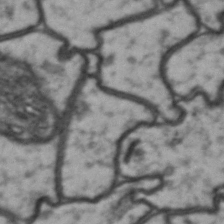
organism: Drosophila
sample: Brain